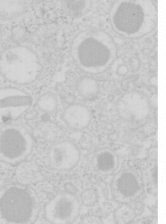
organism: Mouse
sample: Pancreas